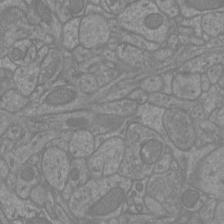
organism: Mouse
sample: Cortical neurons